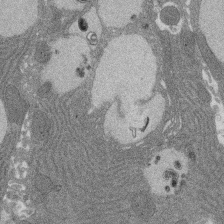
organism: Rat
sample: Salivary granule